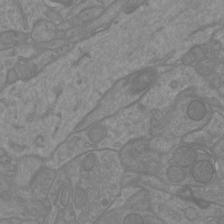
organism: Mouse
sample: Cortical neurons